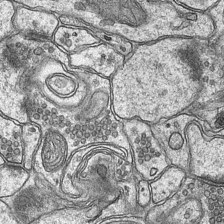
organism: Mouse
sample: CA1 Hippocampus